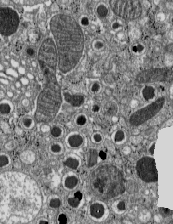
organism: C57BL Mouse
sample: Pancreatic islet